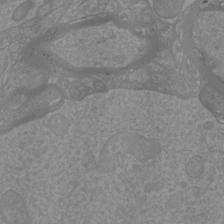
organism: Mouse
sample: Cortical neurons